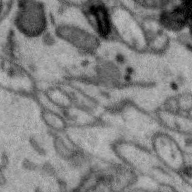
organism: Zebra finch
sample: Brain